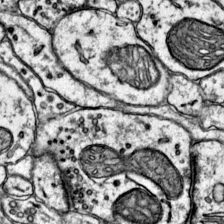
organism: Mouse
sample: Primary visual cortex